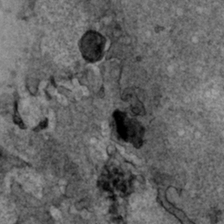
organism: Human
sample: Mitochondria in HCT116 cells